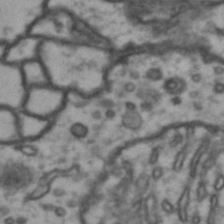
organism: Drosophila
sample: Brain